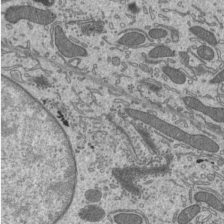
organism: Mouse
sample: Mouse epididymis efferent ductule cilia